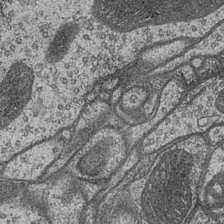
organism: Drosophila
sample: Optic medulla